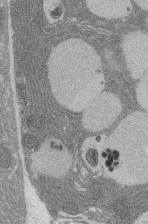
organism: Rat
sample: Salivary granule